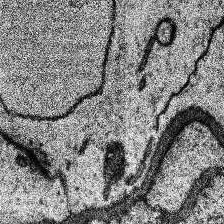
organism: Human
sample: Temporal Lobe